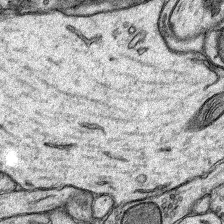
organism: Rat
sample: Hippocampus